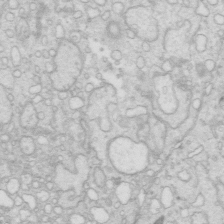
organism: Mouse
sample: Multiciliated cells